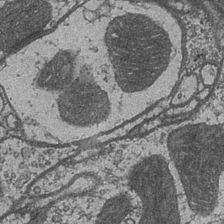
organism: Drosophila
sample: Optic medulla